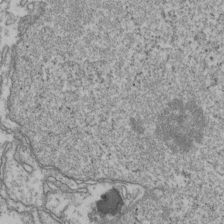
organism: Human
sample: Activated Jurkat CD4+ T cells